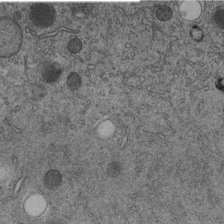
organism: C. elegans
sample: C. elegans embryo early stage